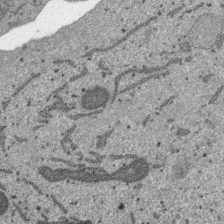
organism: Human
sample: Lung epithelial cells infected with SARS-CoV-2